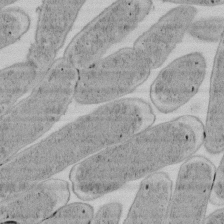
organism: E. coli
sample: Bacterial nucleoid